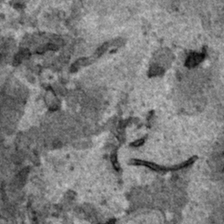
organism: Human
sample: Mitochondria in HCT116 cells